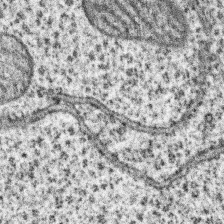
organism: Human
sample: HeLa cells